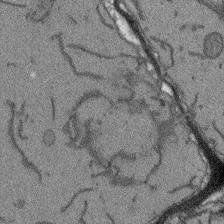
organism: Arabidopsis thaliana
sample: Root tip